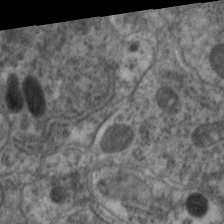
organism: C. elegans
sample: Pharynx